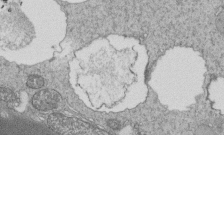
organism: Tetrahymena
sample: Cilia in tetrahymena